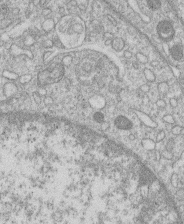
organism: Human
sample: Macrophage cells